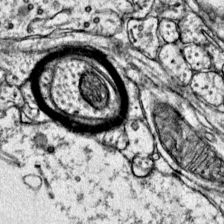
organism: Mouse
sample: Primary visual cortex